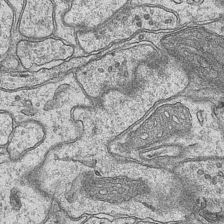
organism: Mouse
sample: CA1 Hippocampus